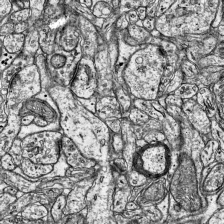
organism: Mouse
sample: Visual Cortex